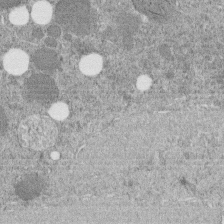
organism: C. elegans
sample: C. elegans embryo early stage